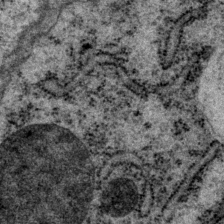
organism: P. pacificus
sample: Pharynx